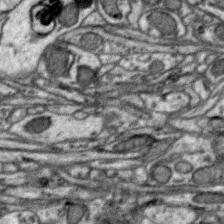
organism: Zebra finch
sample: Brain